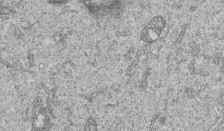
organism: Human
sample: MDA-MB-231 cells